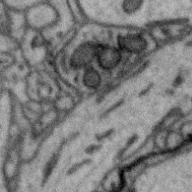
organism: Zebra finch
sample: Brain